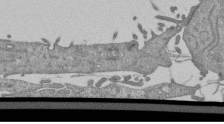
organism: Mouse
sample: ED-1 cell nuclei; centrioles